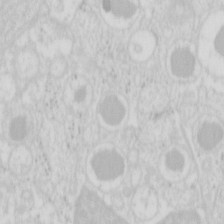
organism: Mouse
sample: Pancreas